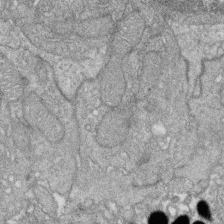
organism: Zebrafish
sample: Cilia; retinal pigment epithelium